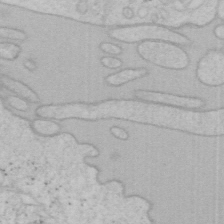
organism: Human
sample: HeLa cells